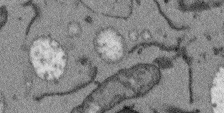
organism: Arabidopsis thaliana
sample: Root tip